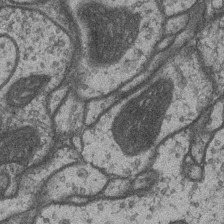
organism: Drosophila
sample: Optic medulla